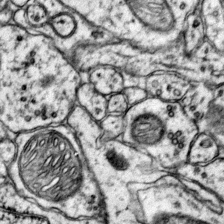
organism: Mouse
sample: Primary visual cortex